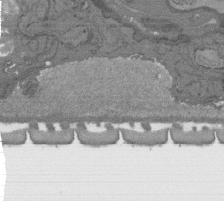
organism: C. elegans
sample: AFD neurons C. elegans